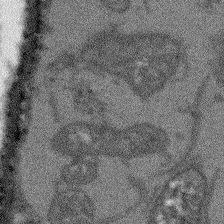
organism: Arabidopsis thaliana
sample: Root tip